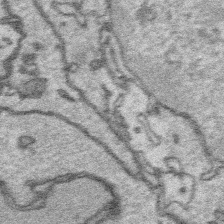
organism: Platynereis dumerilii